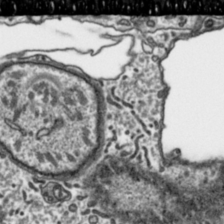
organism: Toxoplasma gondii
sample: Parasites in a vacuole inside a host cell